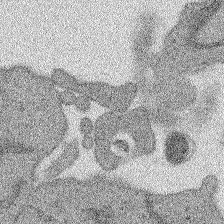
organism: Human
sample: HeLa cells